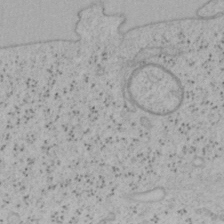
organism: Human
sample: HeLa cells